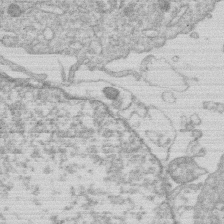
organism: Human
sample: Macrophage cells